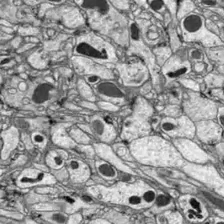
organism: Drosophila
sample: Optic lobe